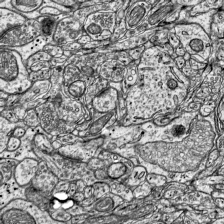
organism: Mouse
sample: Visual Cortex